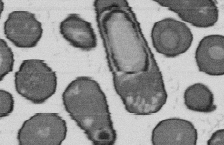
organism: B. subtilis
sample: Bacterial spore